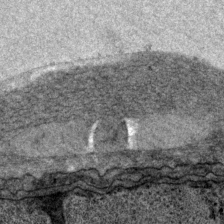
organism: P. pacificus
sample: Pharynx